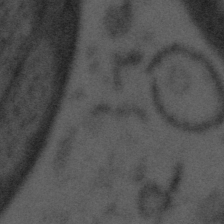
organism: Tuwongella immobilis